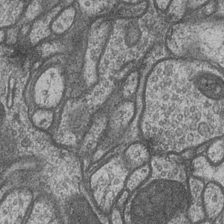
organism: Drosophila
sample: Optic medulla